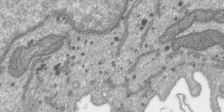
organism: Human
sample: Lung epithelial cells infected with SARS-CoV-2